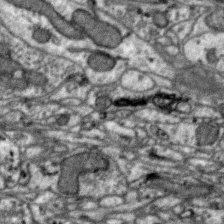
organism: Zebra finch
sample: Brain